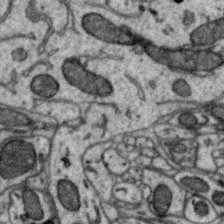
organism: Zebra finch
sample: Brain